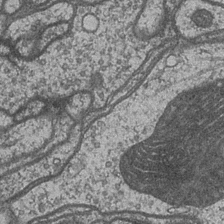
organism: Drosophila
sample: Optic medulla